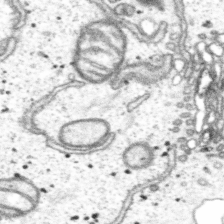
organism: Human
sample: HeLa cells